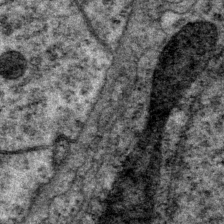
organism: P. pacificus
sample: Pharynx